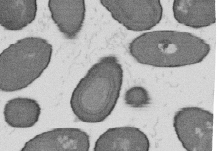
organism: B. subtilis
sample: Bacterial spore